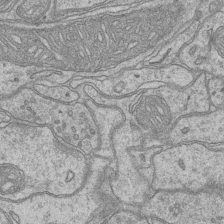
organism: Mouse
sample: CA1 Hippocampus